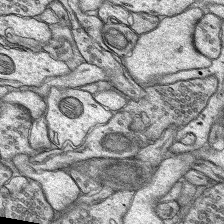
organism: Rat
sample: Hippocampus